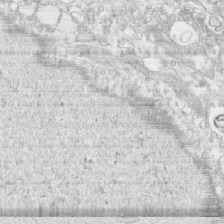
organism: Human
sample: CRL-1474